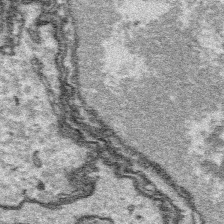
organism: Platynereis dumerilii